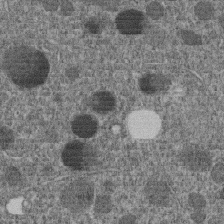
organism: C. elegans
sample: C. elegans embryo early stage